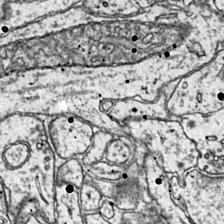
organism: Mouse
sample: Primary visual cortex